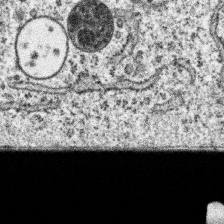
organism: Human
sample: HeLa cells